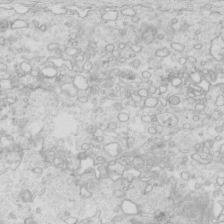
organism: Mouse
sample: Multiciliated cells